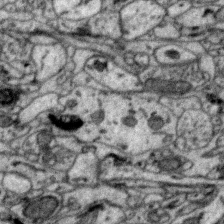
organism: Zebra finch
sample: Brain